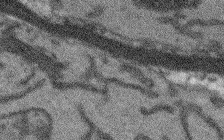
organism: Arabidopsis thaliana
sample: Root tip